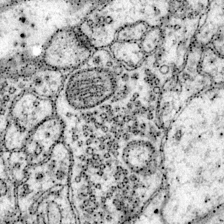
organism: Mouse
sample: Primary visual cortex